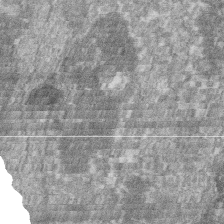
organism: Zebrafish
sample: Cilia; retinal pigment epithelium